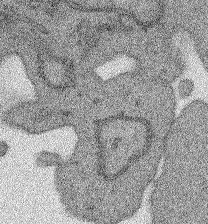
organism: Human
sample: HeLa cells